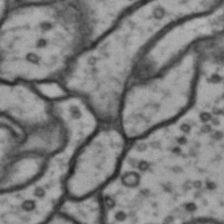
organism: Drosophila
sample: Brain